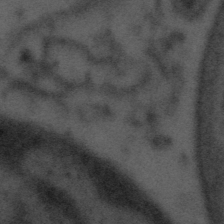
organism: Tuwongella immobilis